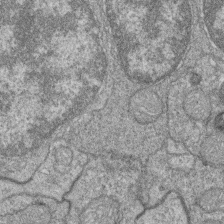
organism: Zebrafish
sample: Cilia; retinal pigment epithelium